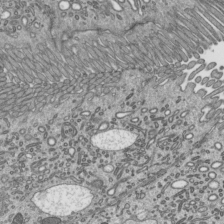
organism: Mouse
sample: Mouse epididymis efferent ductule cilia